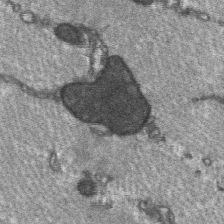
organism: C57BL Mouse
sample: Soleus